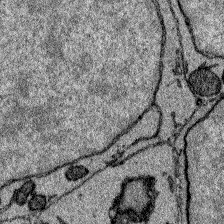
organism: Zebrafish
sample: Larval olfactory bulb